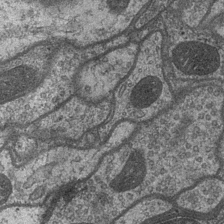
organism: Drosophila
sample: Optic medulla